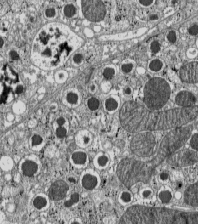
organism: C57BL Mouse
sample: Pancreatic islet